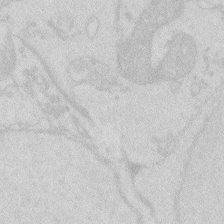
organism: Zebrafish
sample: Macrophage